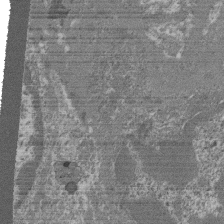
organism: Mouse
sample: Glomerulus